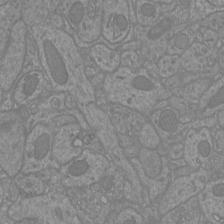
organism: Mouse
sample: Cortical neurons